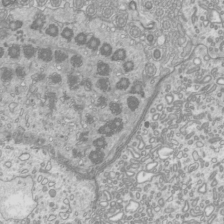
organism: Mouse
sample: Cilia; mouse epididymis